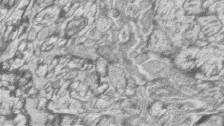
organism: Zebrafish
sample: synaptic ribbons in rod cells and cone cells